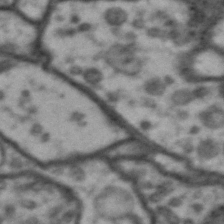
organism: Drosophila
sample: Brain